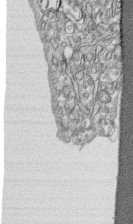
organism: Human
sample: CRL-1474